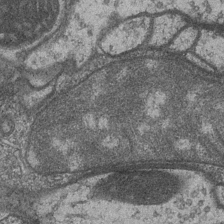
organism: Drosophila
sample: Optic medulla